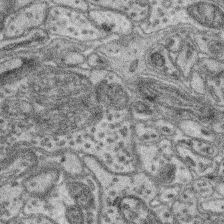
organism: Mouse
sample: Retina